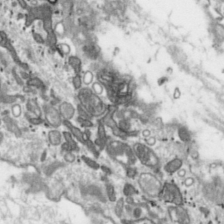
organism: Toxoplasma gondii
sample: Parasites in a vacuole inside a host cell